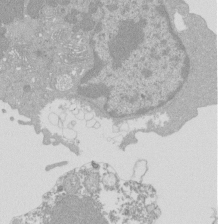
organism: Mouse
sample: Activated Pmel transgenic CD8+ T Cells